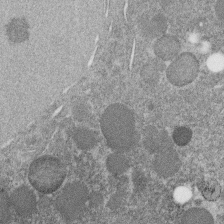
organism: C. elegans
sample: C. elegans embryo early stage